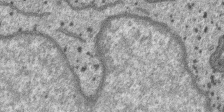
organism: Human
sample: Lung epithelial cells infected with SARS-CoV-2